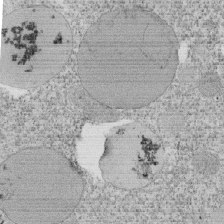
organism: Tetrahymena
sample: Cilia in tetrahymena